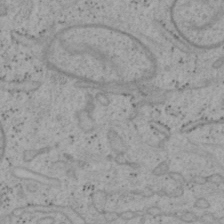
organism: Human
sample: HeLa cells